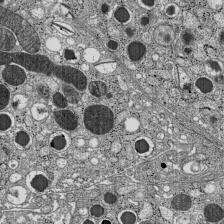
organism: C57BL Mouse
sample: Pancreatic islet